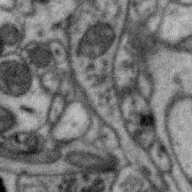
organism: Zebra finch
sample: Brain